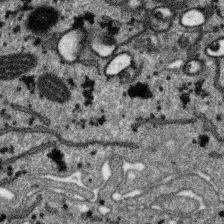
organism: Human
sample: Lung epithelial cells infected with SARS-CoV-2